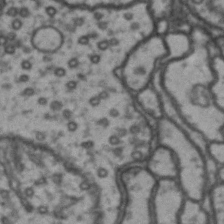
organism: Drosophila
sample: Brain